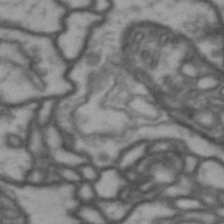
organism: Drosophila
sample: Brain